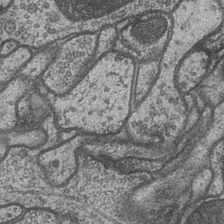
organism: Drosophila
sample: Optic medulla